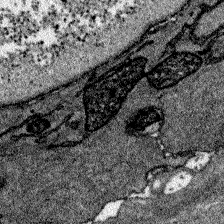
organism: Zebrafish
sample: Larval olfactory bulb